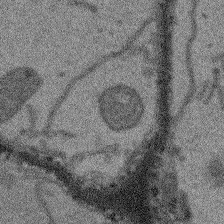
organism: Arabidopsis thaliana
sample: Root tip